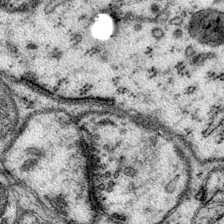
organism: Mouse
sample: Primary visual cortex